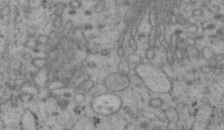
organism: Human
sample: HeLa cells